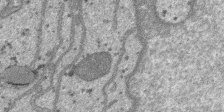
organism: Human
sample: Lung epithelial cells infected with SARS-CoV-2